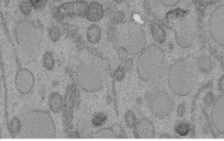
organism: C. elegans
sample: C. elegans embryo early stage